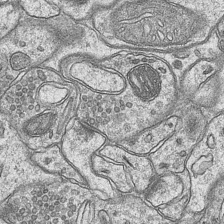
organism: Mouse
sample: CA1 Hippocampus